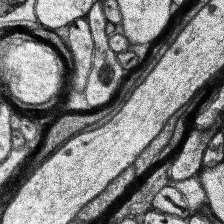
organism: Human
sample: Temporal Lobe